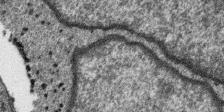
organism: Human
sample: Lung epithelial cells infected with SARS-CoV-2